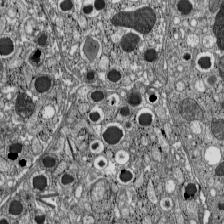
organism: C57BL Mouse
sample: Pancreatic islet